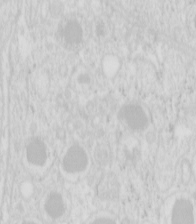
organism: Mouse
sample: Pancreas